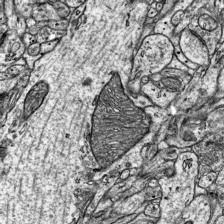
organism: Mouse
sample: Visual Cortex